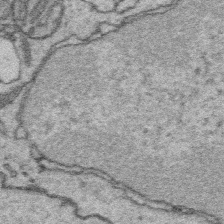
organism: Platynereis dumerilii